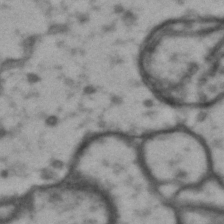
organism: Drosophila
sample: Brain